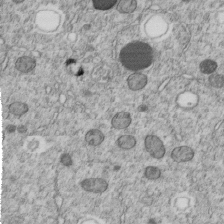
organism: C. elegans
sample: C. elegans embryo early stage